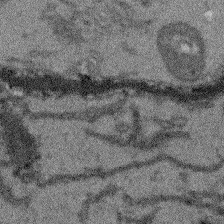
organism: Arabidopsis thaliana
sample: Root tip